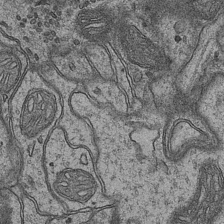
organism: Mouse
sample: CA1 Hippocampus